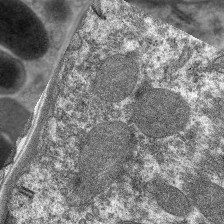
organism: C. elegans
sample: Pharynx